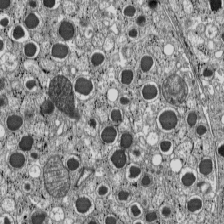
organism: C57BL Mouse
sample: Pancreatic islet